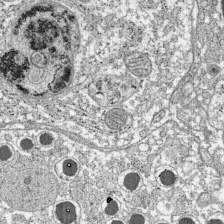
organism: C57BL Mouse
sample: Pancreatic islet